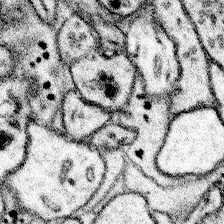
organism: Mouse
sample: Somatosensory cortex neuropil